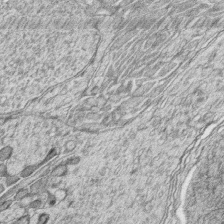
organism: Zebrafish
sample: synaptic ribbons in rod cells and cone cells